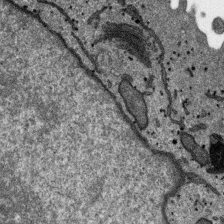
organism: Human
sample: Lung epithelial cells, uninfected (mock) control